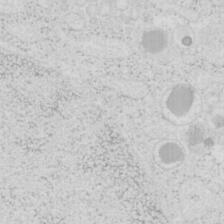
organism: Mouse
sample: Pancreas